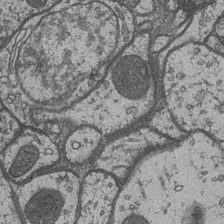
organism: Drosophila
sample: Optic medulla